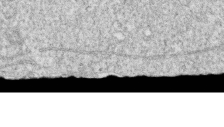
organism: Human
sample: HeLa cell HIV synapse